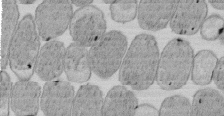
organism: E. coli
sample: Bacterial nucleoid